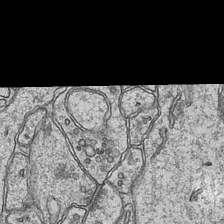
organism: Mouse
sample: CA1 Hippocampus